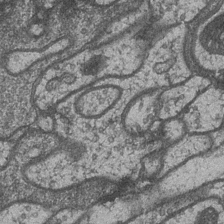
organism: Drosophila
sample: Optic medulla